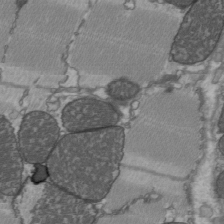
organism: C57BL Mouse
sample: Heart